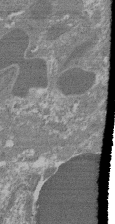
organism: Mouse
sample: Glomerulus